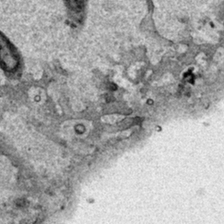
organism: Human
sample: Mitochondria in HCT116 cells